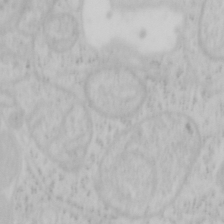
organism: Mouse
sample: OT-I killer T cells with ID8 ovarian cancer cells